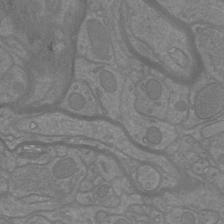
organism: Mouse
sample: Cortical neurons